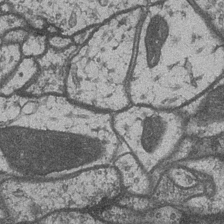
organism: Drosophila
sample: Optic medulla